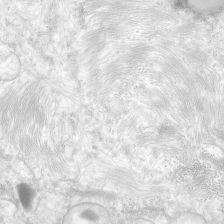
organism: Human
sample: Neocortex